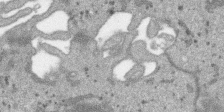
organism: Human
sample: Lung epithelial cells infected with SARS-CoV-2